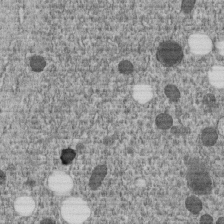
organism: C. elegans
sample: C. elegans embryo early stage